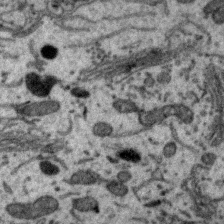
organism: Zebra finch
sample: Brain